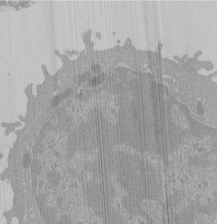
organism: Mouse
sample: Activated Pmel transgenic CD8+ T Cells